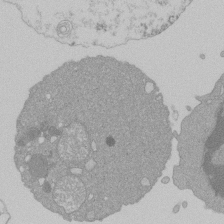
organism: Mouse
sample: Activated Pmel transgenic CD8+ T Cells